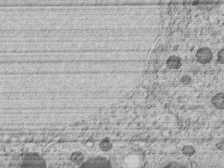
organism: C. elegans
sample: C. elegans embryo early stage